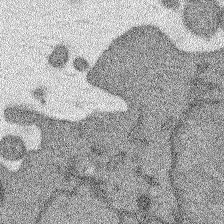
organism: Human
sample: HeLa cells